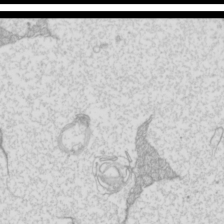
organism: Mouse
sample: Cilia; mouse epididymis